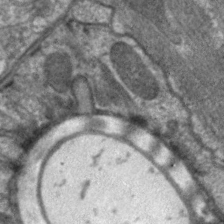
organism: C. elegans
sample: Pharynx